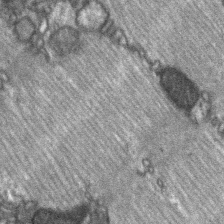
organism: C57BL Mouse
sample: Soleus